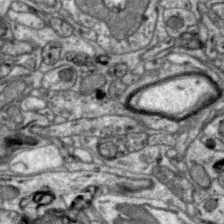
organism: Zebra finch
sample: Brain